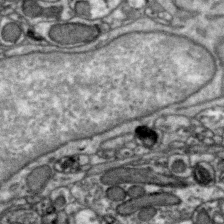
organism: Zebra finch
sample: Brain